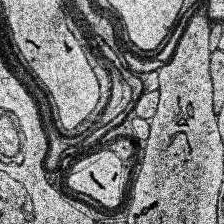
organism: Human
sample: Temporal Lobe